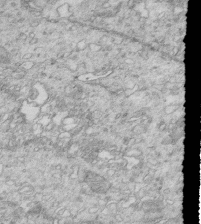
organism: Mouse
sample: Multiciliated cells